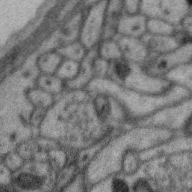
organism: Zebra finch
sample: Brain